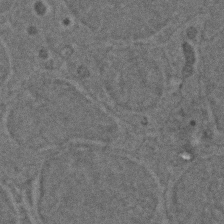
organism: Zebrafish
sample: Zebrafish embryo